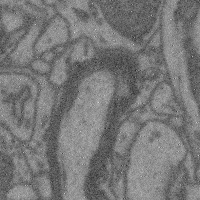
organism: Mouse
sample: Cerebral cortex